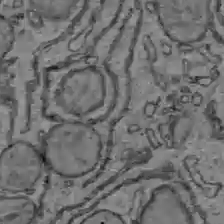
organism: C57BL Mouse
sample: Liver